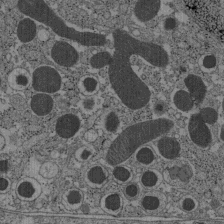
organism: C57BL Mouse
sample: Pancreatic islet